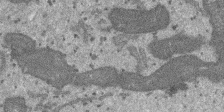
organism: Human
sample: Lung epithelial cells infected with SARS-CoV-2